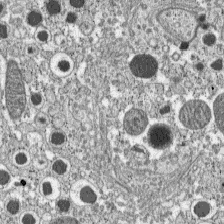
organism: C57BL Mouse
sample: Pancreatic islet